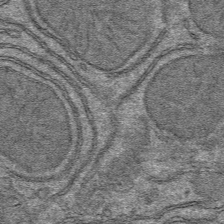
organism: Mouse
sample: Mouse hepatocytes